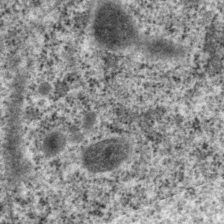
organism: P. pacificus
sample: Pharynx